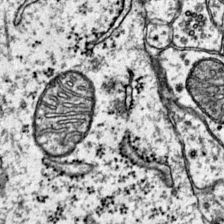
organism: Mouse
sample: Primary visual cortex